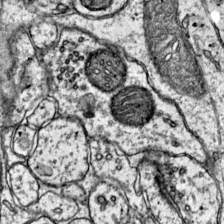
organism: Mouse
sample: Primary visual cortex